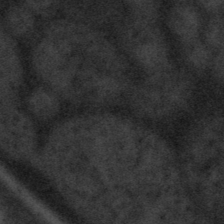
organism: Tuwongella immobilis